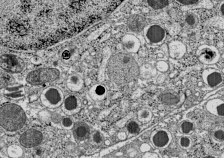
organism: C57BL Mouse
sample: Pancreatic islet